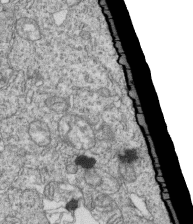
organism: Human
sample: HeLa cell HIV synapse